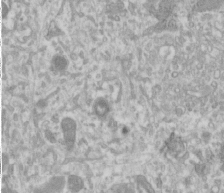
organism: Human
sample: Cilia; basal body in RPE cells